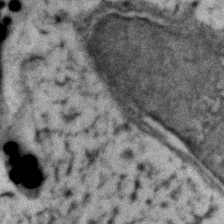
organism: Zebrafish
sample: Zebrafish embryo